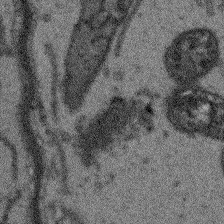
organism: Arabidopsis thaliana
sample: Root tip